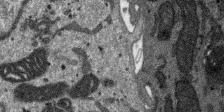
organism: Human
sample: Lung epithelial cells infected with SARS-CoV-2